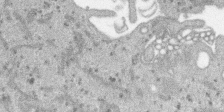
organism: Human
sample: Lung epithelial cells infected with SARS-CoV-2